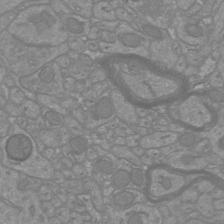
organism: Mouse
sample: Cortical neurons